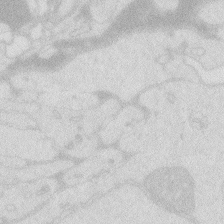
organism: Zebrafish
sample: Macrophage